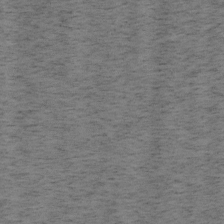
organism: Mouse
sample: OT-I killer T cells with ID8 ovarian cancer cells